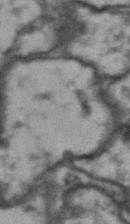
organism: Drosophila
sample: Brain